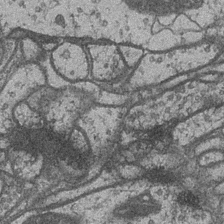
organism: Drosophila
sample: Optic medulla